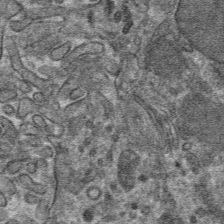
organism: Mouse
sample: Mouse hepatocytes